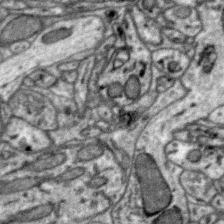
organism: Zebra finch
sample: Brain